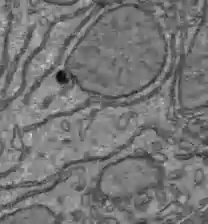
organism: C57BL Mouse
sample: Liver